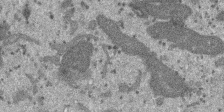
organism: Human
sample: Lung epithelial cells infected with SARS-CoV-2